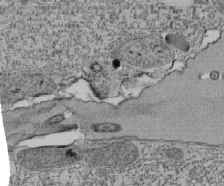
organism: Tetrahymena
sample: Cilia in tetrahymena